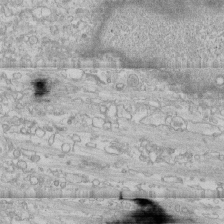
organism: Human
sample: CRL-1474